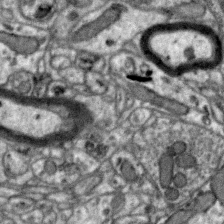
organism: Zebra finch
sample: Brain